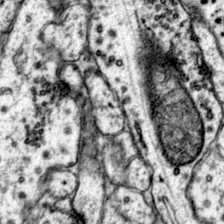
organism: Mouse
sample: Primary visual cortex